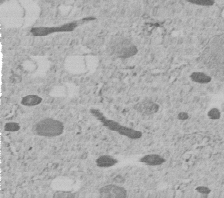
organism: C. elegans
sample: C. elegans embryo early stage